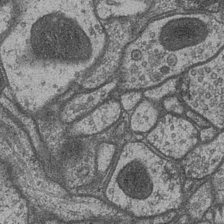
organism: Drosophila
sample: Optic medulla